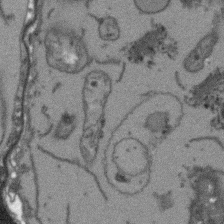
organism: Arabidopsis thaliana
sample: Root tip